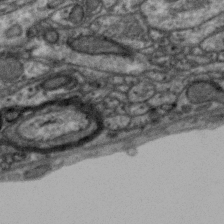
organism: Zebra finch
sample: Brain